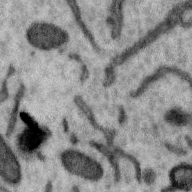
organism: Zebra finch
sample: Brain